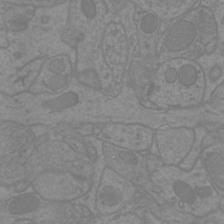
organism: Mouse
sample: Cortical neurons